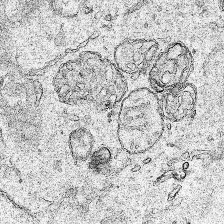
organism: Human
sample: Mitochondria in HCT116 cells